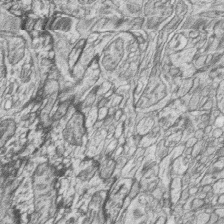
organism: Zebrafish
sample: synaptic ribbons in rod cells and cone cells